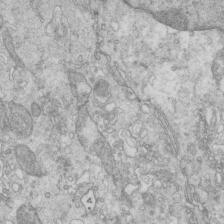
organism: Mouse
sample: Multiciliated cells